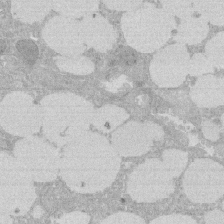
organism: Rat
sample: Salivary granule